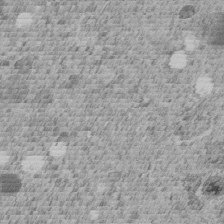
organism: C. elegans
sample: C. elegans embryo early stage